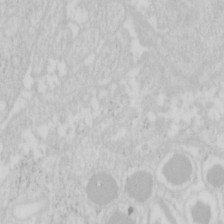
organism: Mouse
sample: Pancreas